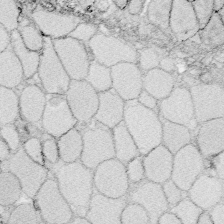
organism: Zebrafish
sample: Whole-Brain